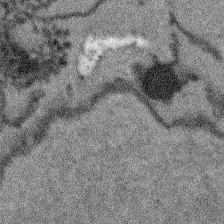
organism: Arabidopsis thaliana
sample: Root tip